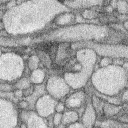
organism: Rabbit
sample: Retina